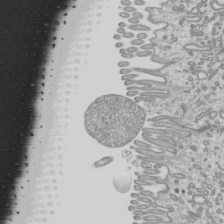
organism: Mouse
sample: Cilia; mouse epididymis